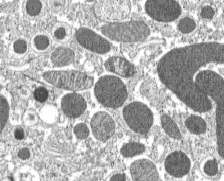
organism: C57BL Mouse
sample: Pancreatic islet